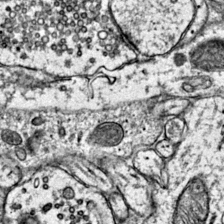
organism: Mouse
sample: Primary visual cortex